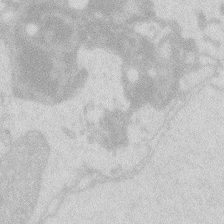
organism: Zebrafish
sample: Macrophage